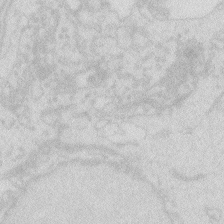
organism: Zebrafish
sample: Macrophage